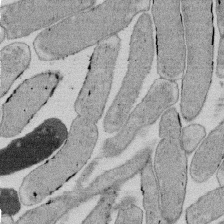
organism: E. coli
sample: Bacterial nucleoid